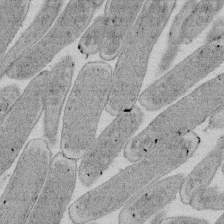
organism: E. coli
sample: Bacterial nucleoid